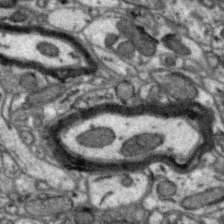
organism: Zebra finch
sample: Brain